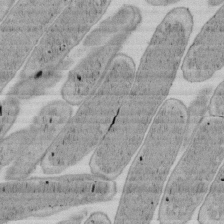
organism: E. coli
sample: Bacterial nucleoid